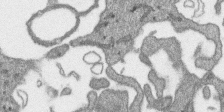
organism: Human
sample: Lung epithelial cells infected with SARS-CoV-2